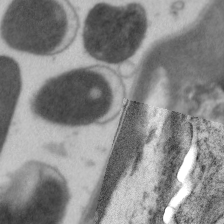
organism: C. elegans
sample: Pharynx